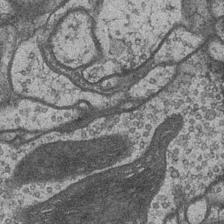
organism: Drosophila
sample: Optic medulla